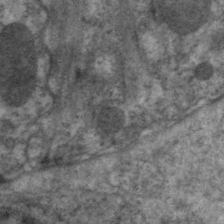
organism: C. elegans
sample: Pharynx